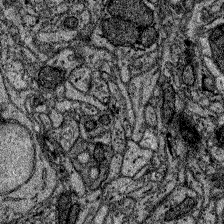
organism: Zebrafish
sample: Larval olfactory bulb